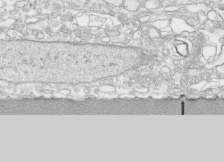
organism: Human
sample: CRL-1474